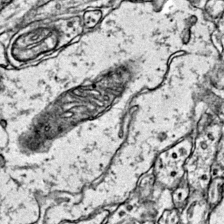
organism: Mouse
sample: Primary visual cortex